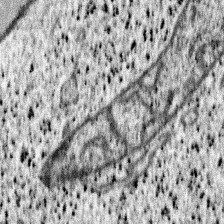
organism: Human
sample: HeLa cells